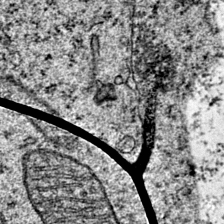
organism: Mouse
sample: Primary visual cortex